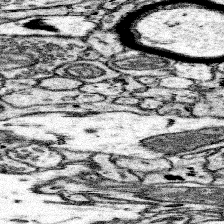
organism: Mouse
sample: Somatosensory cortex neuropil